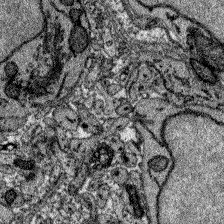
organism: Zebrafish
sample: Larval olfactory bulb